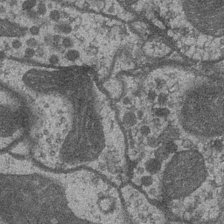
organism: Drosophila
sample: Optic medulla